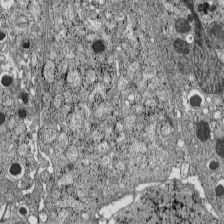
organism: C57BL Mouse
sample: Pancreatic islet